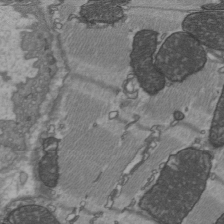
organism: C57BL Mouse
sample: Heart